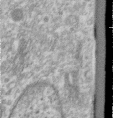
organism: Human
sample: Centriole in RPE cells